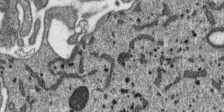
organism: Human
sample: Lung epithelial cells infected with SARS-CoV-2